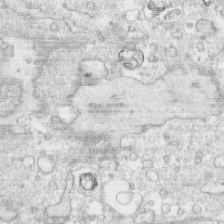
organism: Human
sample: CRL-1474